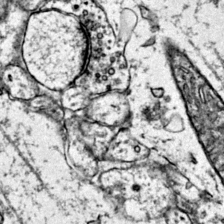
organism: Mouse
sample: Primary visual cortex